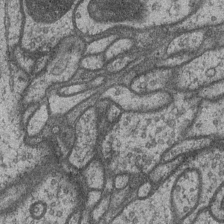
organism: Drosophila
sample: Optic medulla